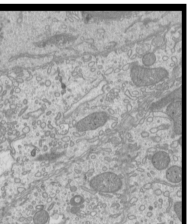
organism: Mouse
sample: Cilia; mouse epididymis